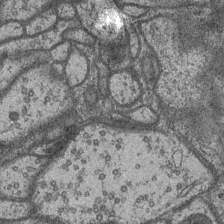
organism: Drosophila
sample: Optic medulla